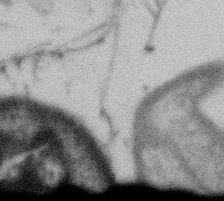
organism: Gemmata obscuriglobus